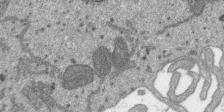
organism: Human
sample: Lung epithelial cells infected with SARS-CoV-2